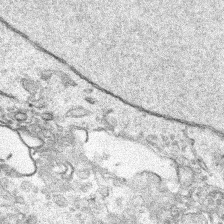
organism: Human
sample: Mitochondria in HCT116 cells